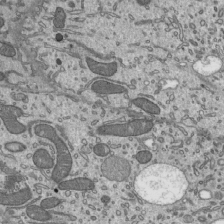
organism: Mouse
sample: Mouse epididymis efferent ductule cilia